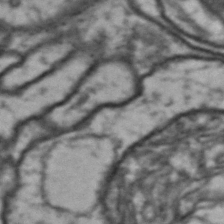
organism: Drosophila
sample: Brain